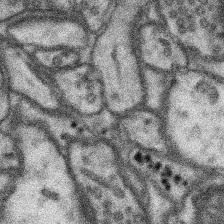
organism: Mouse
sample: Somatosensory cortex neuropil